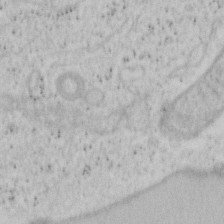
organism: Human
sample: HeLa cells